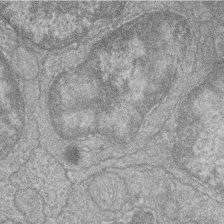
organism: Zebrafish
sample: Cilia; retinal pigment epithelium